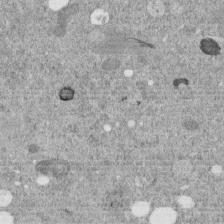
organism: C. elegans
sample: C. elegans embryo early stage